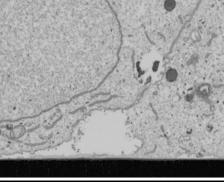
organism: Human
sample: Mitochondria in U2OS cells